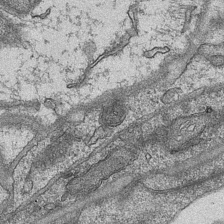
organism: Mouse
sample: CA1 Hippocampus